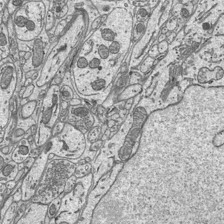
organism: Mouse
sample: Suprachiasmatic nucleus